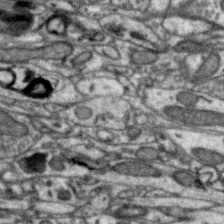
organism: Zebra finch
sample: Brain